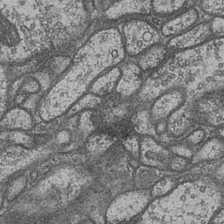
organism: Drosophila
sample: Optic medulla